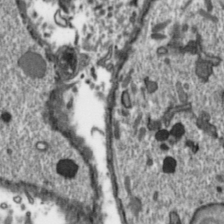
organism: Toxoplasma gondii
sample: Parasites in a vacuole inside a host cell